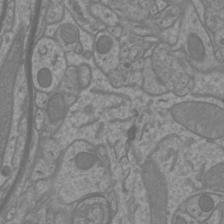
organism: Mouse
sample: Cortical neurons